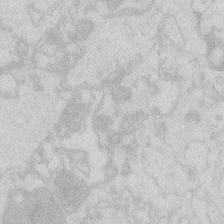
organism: Zebrafish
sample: Macrophage